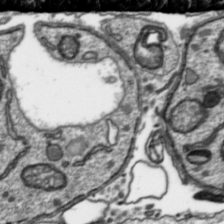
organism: Toxoplasma gondii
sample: Parasites in a vacuole inside a host cell